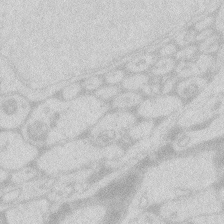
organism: Zebrafish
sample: Macrophage